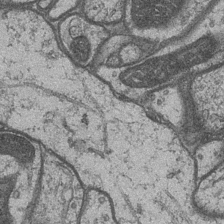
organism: Drosophila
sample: Optic medulla